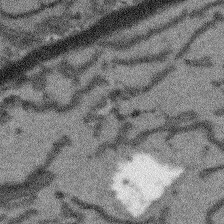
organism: Arabidopsis thaliana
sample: Root tip